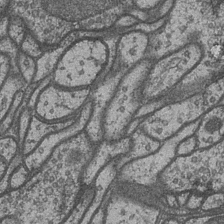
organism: Drosophila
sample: Optic medulla